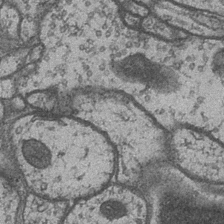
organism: Drosophila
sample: Optic medulla